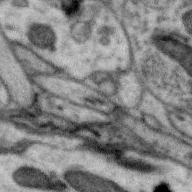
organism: Zebra finch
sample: Brain